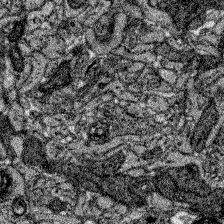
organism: Zebrafish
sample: Larval olfactory bulb